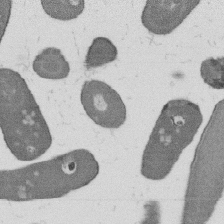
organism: B. subtilis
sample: Bacterial spore